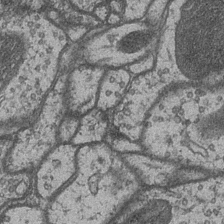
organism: Drosophila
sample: Optic medulla